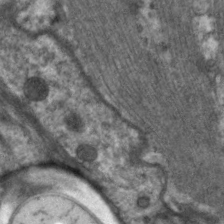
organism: C. elegans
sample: Pharynx